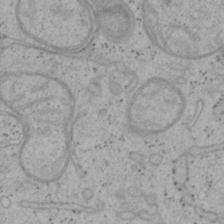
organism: Human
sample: HeLa cells